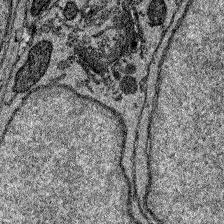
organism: Zebrafish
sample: Larval olfactory bulb